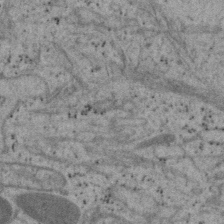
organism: Human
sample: HeLa cells